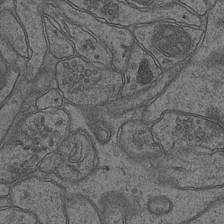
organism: Mouse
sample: CA1 Hippocampus